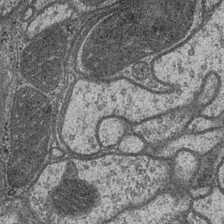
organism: Drosophila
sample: Optic medulla